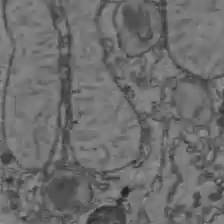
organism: C57BL Mouse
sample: Liver